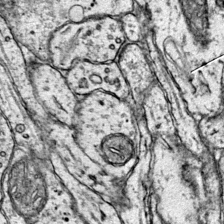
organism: Mouse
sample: Primary visual cortex